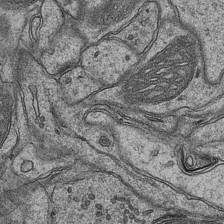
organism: Mouse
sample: CA1 Hippocampus